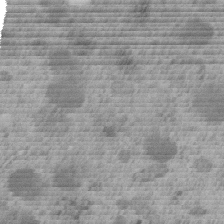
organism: C. elegans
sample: C. elegans embryo early stage